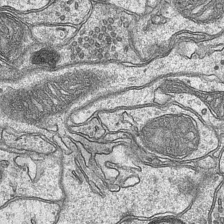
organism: Mouse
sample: CA1 Hippocampus